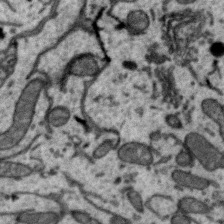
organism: Zebra finch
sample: Brain